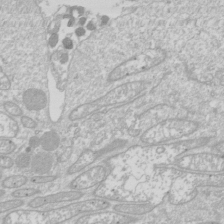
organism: Drosophila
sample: Cell division; meiosis; drosophila spermatocytes